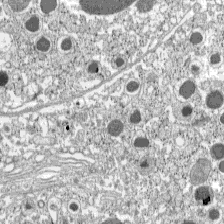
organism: C57BL Mouse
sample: Pancreatic islet